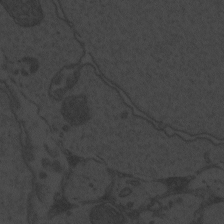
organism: Zebrafish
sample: Macrophage infected with Toxoplasma gondii